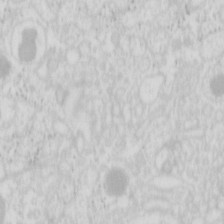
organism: Mouse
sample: Pancreas